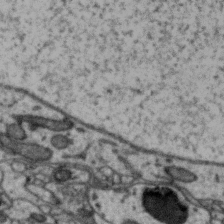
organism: Zebra finch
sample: Brain